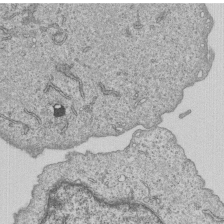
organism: Human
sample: MDA-MB-231 cells